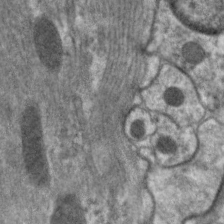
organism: C. elegans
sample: Pharynx